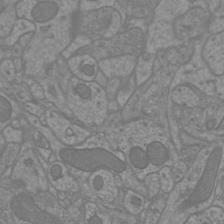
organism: Mouse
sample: Cortical neurons